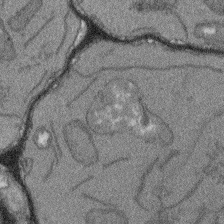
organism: Arabidopsis thaliana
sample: Root tip